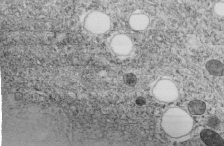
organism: C. elegans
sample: C. elegans embryo early stage